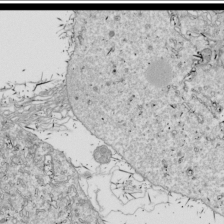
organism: Drosophila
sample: Cell division; meiosis; drosophila spermatocytes